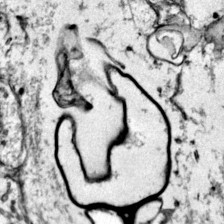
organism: Mouse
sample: Primary visual cortex